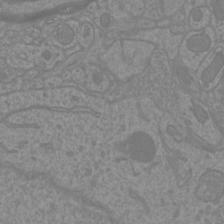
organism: Mouse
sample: Cortical neurons